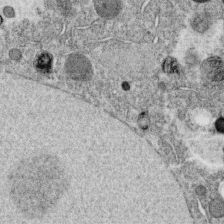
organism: C. elegans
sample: C. elegans oocyte; sperm cells